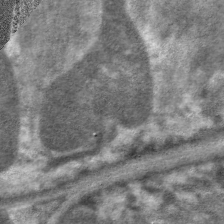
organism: C. elegans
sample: Pharynx